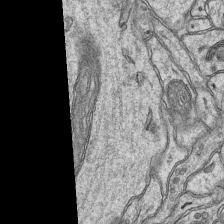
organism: Mouse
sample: CA1 Hippocampus